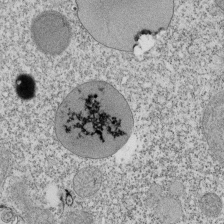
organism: Tetrahymena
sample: Cilia in tetrahymena